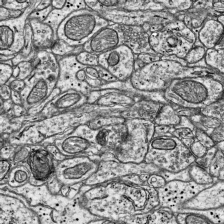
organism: Mouse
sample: Visual Cortex